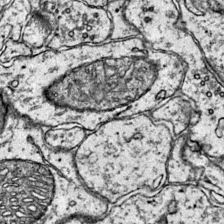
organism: Mouse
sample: Primary visual cortex